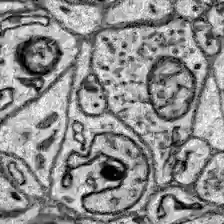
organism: Zebrafish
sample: Brain